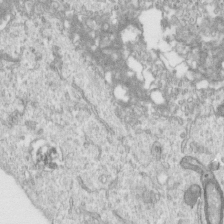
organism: Human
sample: Centriole in RPE cells